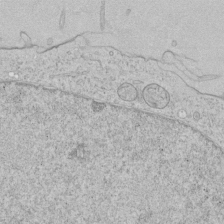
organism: Human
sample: Mitochondria in HCT116 cells